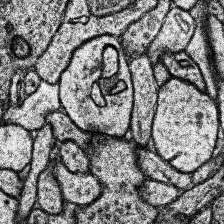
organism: Human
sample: Temporal Lobe